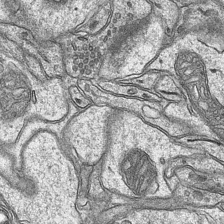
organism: Mouse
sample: CA1 Hippocampus